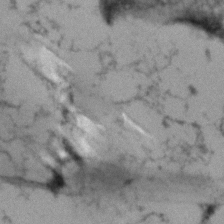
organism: Human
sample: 1205lu cells